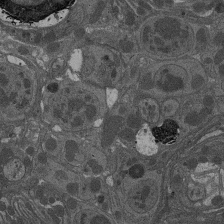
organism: Drosophila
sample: Antenna